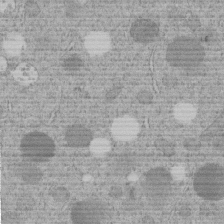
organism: C. elegans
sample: C. elegans embryo early stage